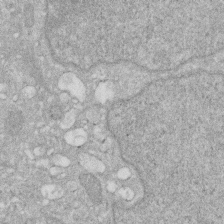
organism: Human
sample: HIV infected U937 cells